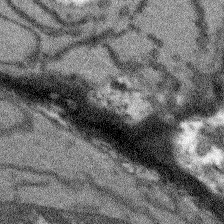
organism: Arabidopsis thaliana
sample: Root tip